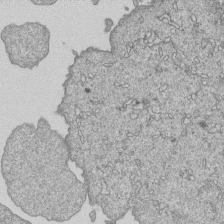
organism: Human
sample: MDA-MB-231 cells